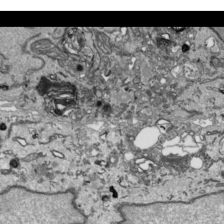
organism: Human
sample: Mitochondria in HCT116 cells